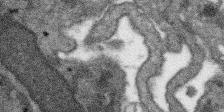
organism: Human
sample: Lung epithelial cells infected with SARS-CoV-2